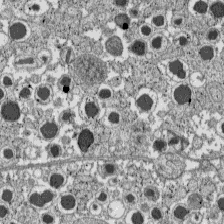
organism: C57BL Mouse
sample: Pancreatic islet